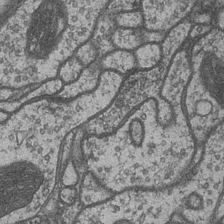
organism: Drosophila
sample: Optic medulla